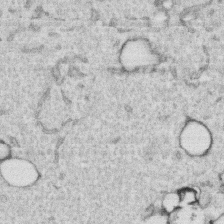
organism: Human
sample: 1205lu cells